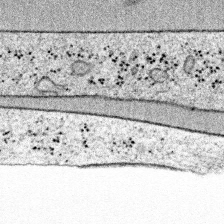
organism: Human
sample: HeLa cells